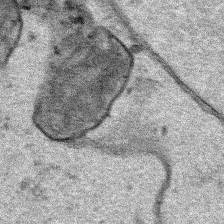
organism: Human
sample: Mitochondria in HCT116 cells